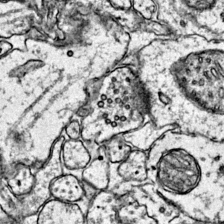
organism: Mouse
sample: Primary visual cortex